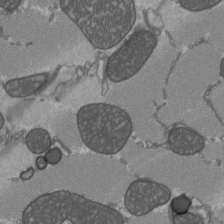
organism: C57BL Mouse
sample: Heart